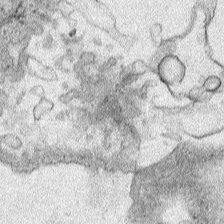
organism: Human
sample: Mitochondria in HCT116 cells